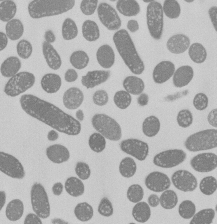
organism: E. coli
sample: Bacterial nucleoid